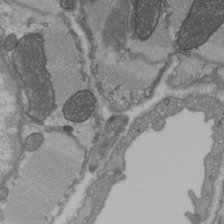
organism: C57BL Mouse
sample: Heart